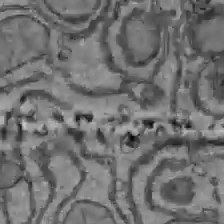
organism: C57BL Mouse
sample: Liver